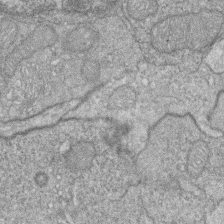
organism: Zebrafish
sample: Cilia; retinal pigment epithelium